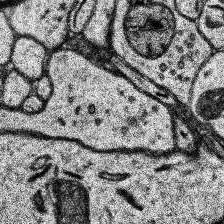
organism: Human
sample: Temporal Lobe